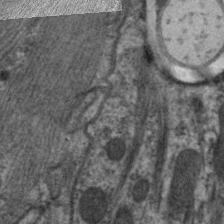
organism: C. elegans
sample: Pharynx